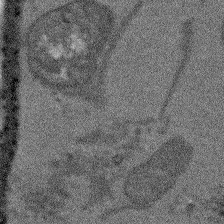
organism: Arabidopsis thaliana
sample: Root tip